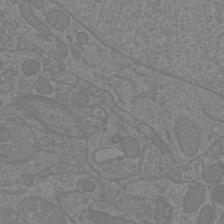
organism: Mouse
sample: Cortical neurons